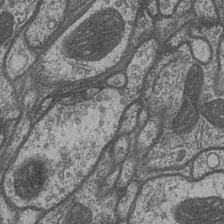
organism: Drosophila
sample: Optic medulla